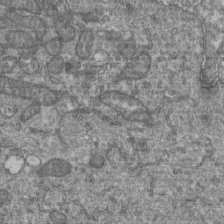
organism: Human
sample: Retinal organoid Rod and Cone cells